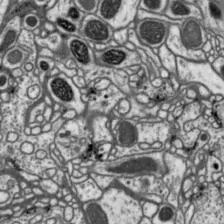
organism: Drosophila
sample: Protocerebral bridge